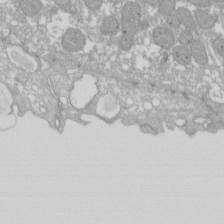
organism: Xenopus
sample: Cilia; centrioles in frog embryo cells